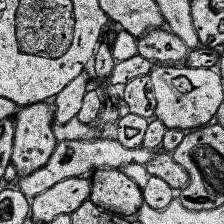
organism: Human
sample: Temporal Lobe